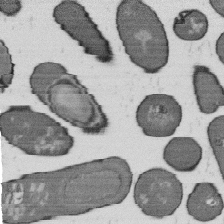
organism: B. subtilis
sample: Bacterial spore